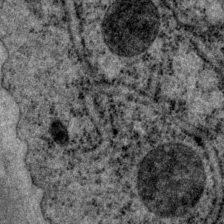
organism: P. pacificus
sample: Pharynx